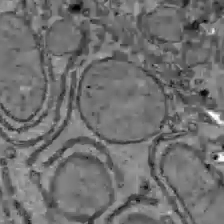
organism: C57BL Mouse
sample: Liver